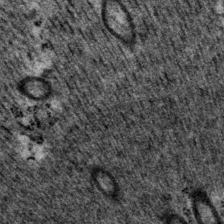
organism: P. pacificus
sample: Pharynx